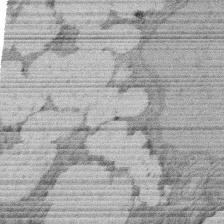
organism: Rat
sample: Salivary granule